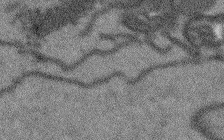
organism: Arabidopsis thaliana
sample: Root tip